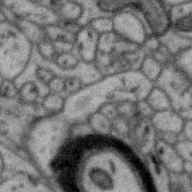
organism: Zebra finch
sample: Brain